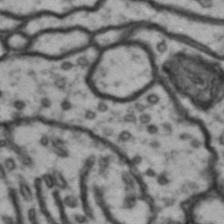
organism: Drosophila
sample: Brain